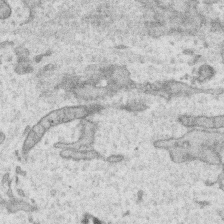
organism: Human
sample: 1205lu cells